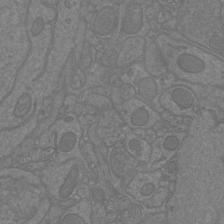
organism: Mouse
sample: Cortical neurons